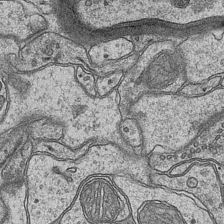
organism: Mouse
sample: CA1 Hippocampus